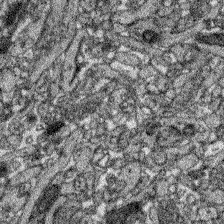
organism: Zebrafish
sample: Larval olfactory bulb